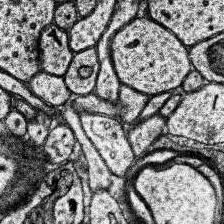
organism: Human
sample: Temporal Lobe